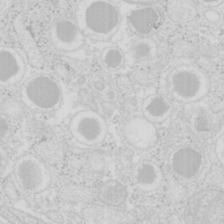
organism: Mouse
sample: Pancreas